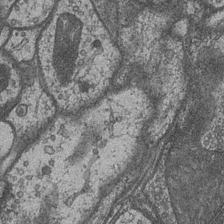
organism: Drosophila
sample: Optic medulla